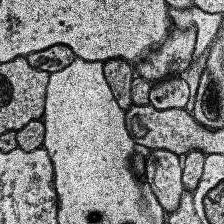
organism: Human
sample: Temporal Lobe